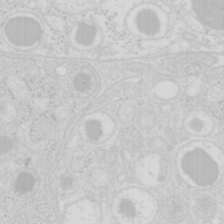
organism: Mouse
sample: Pancreas